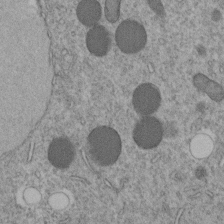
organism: C. elegans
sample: C. elegans embryo early stage